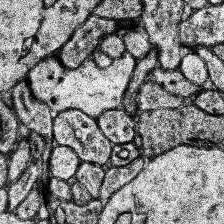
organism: Human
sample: Temporal Lobe